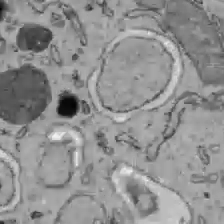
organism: C57BL Mouse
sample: Liver